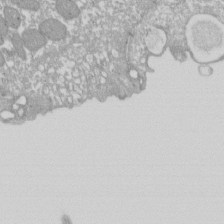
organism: Xenopus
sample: Cilia; centrioles in frog embryo cells